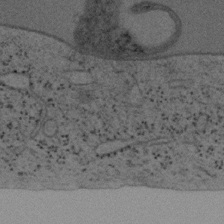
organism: Human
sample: HeLa cells